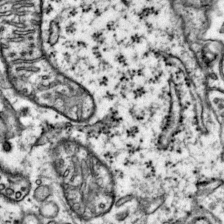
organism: Mouse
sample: Primary visual cortex